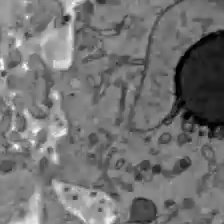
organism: C57BL Mouse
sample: Liver